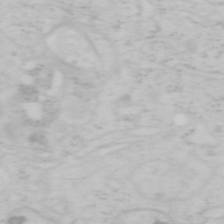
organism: Mouse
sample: OT-I killer T cells with ID8 ovarian cancer cells